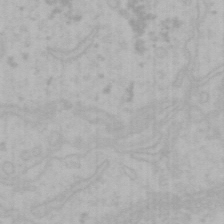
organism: Mouse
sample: Choroid plexus